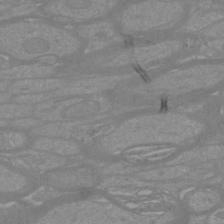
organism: Mouse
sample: Cortical neurons